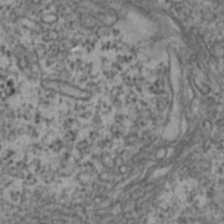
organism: Zebrafish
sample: Zebrafish embryo